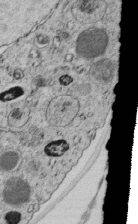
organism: C. elegans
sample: C. elegans embryo early stage